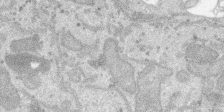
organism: Human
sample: Lung epithelial cells infected with SARS-CoV-2